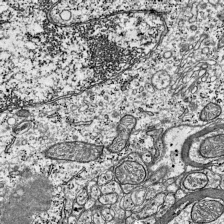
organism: Mouse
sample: Visual Cortex